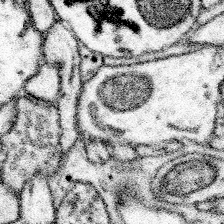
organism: Mouse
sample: Somatosensory cortex neuropil